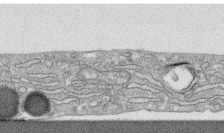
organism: Human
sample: CRL-1474